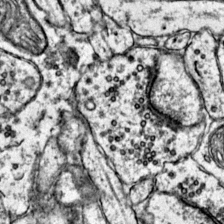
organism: Mouse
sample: Primary visual cortex